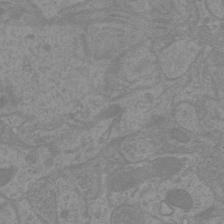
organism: Mouse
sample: Cortical neurons